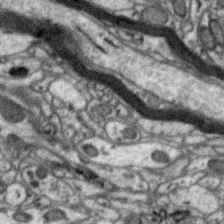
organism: Zebra finch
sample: Brain